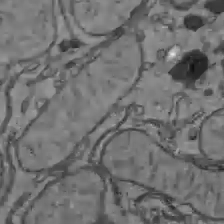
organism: C57BL Mouse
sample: Liver